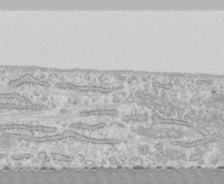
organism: Human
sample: CRL-1474